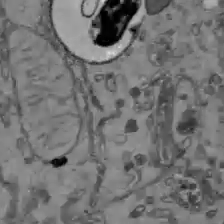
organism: C57BL Mouse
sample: Liver